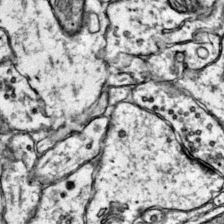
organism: Mouse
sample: Primary visual cortex